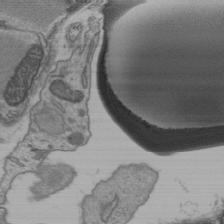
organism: C57BL Mouse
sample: Heart